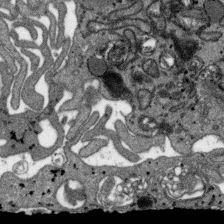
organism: Human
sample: Lung epithelial cells, uninfected (mock) control